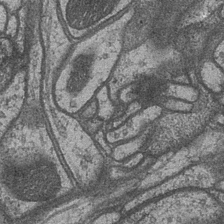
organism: Drosophila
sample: Optic medulla